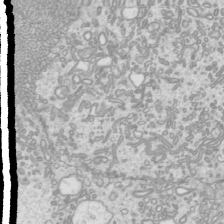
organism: Mouse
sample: Cilia; mouse epididymis